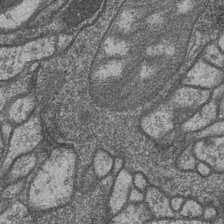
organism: Drosophila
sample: Optic medulla